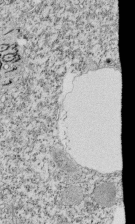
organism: Tetrahymena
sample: Cilia in tetrahymena